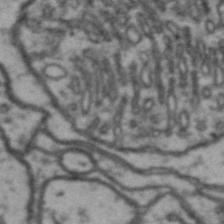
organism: Drosophila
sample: Brain